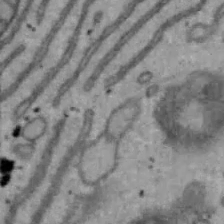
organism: Mouse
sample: Liver